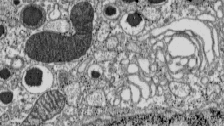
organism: C57BL Mouse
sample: Pancreatic islet